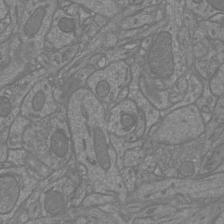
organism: Mouse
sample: Cortical neurons